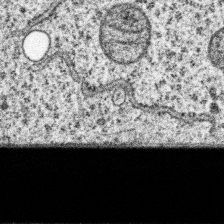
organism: Human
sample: HeLa cells